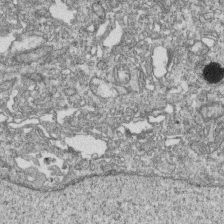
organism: Human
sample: HeLa cell HIV synapse